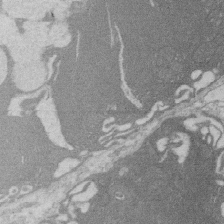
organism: Rat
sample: Salivary granule